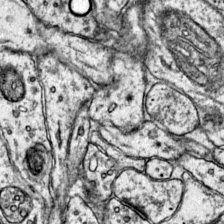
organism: Mouse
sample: Primary visual cortex